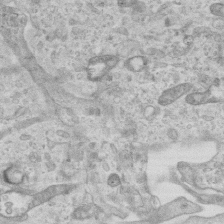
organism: Mouse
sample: Centriole in ependymal cells